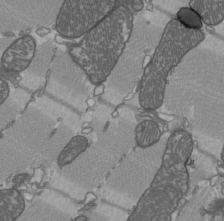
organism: C57BL Mouse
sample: Heart